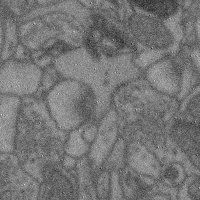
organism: Mouse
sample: Cerebral cortex